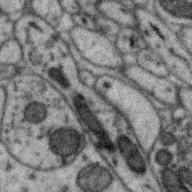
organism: Zebra finch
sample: Brain